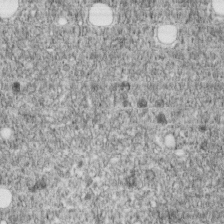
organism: C. elegans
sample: C. elegans embryo early stage